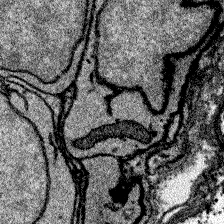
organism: Zebrafish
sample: Larval olfactory bulb